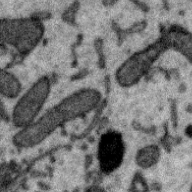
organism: Zebra finch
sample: Brain